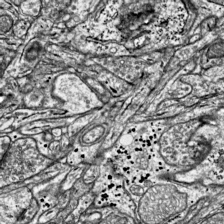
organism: Mouse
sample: Visual Cortex